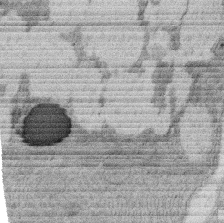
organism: Rat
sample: Salivary granule